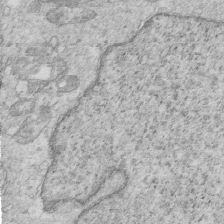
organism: Mouse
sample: Multiciliated cells